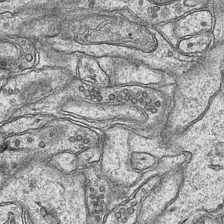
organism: Mouse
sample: CA1 Hippocampus